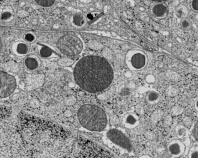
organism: C57BL Mouse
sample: Pancreatic islet